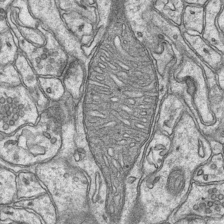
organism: Mouse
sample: CA1 Hippocampus